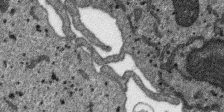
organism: Human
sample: Lung epithelial cells infected with SARS-CoV-2